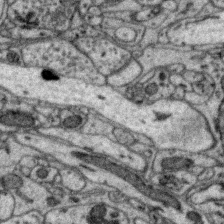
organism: Zebra finch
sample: Brain